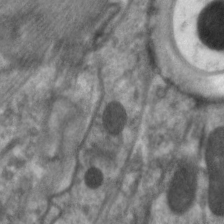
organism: C. elegans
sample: Pharynx